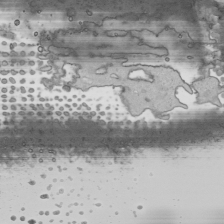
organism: Human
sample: Mitochondria in HCT116 cells